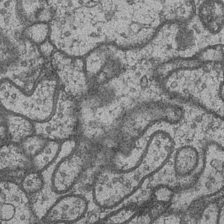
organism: Drosophila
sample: Optic medulla